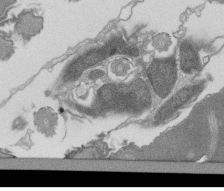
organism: Tetrahymena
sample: Cilia in tetrahymena